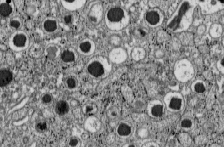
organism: C57BL Mouse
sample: Pancreatic islet